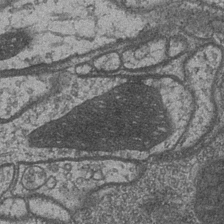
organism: Drosophila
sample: Optic medulla